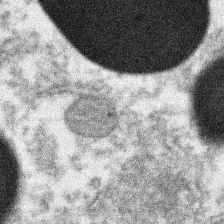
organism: Xenopus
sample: Cilia; centrioles in frog embryo cells